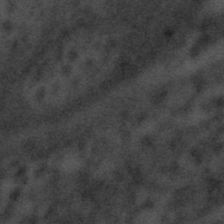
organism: Tuwongella immobilis